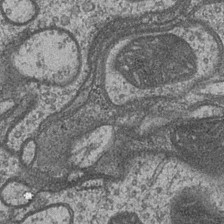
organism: Drosophila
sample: Optic medulla